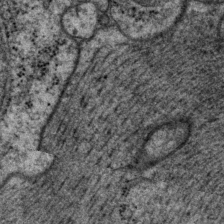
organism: P. pacificus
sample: Pharynx